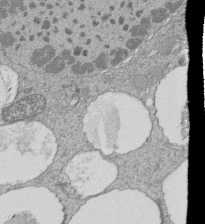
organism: Tetrahymena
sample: Cilia in tetrahymena